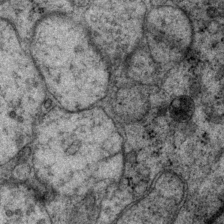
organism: P. pacificus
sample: Pharynx